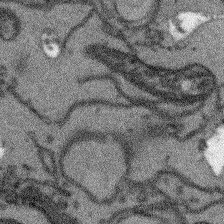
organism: Arabidopsis thaliana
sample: Root tip